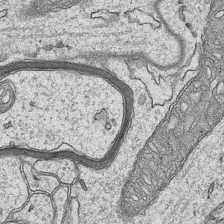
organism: Mouse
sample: CA1 Hippocampus